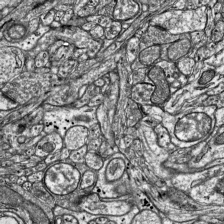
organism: Mouse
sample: Visual Cortex